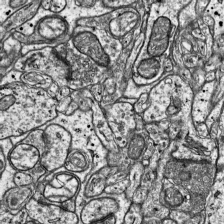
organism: Mouse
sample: Visual Cortex